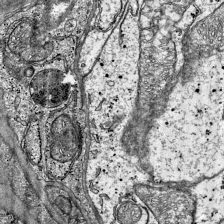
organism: Mouse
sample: Visual Cortex